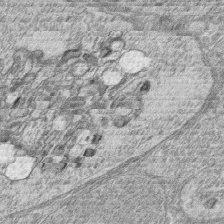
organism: Zebrafish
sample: synaptic ribbons in rod cells and cone cells